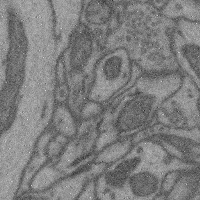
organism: Mouse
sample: Cerebral cortex